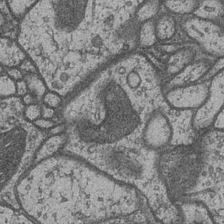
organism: Drosophila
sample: Optic medulla